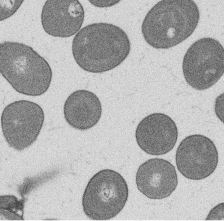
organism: B. subtilis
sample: Bacterial spore